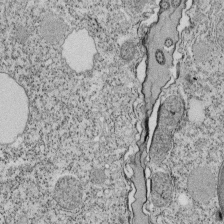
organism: Tetrahymena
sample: Cilia in tetrahymena